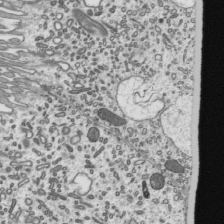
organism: Mouse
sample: Mouse epididymis efferent ductule cilia